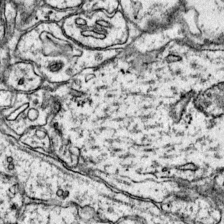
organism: Mouse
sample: Primary visual cortex